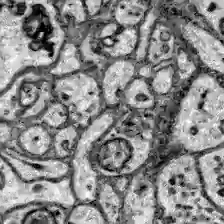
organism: Zebrafish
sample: Brain